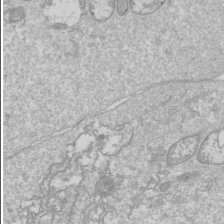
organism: Drosophila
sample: Cell division; meiosis; drosophila spermatocytes